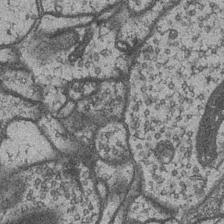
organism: Drosophila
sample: Optic medulla